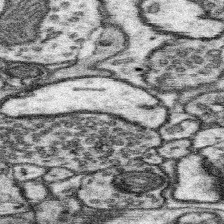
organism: Mouse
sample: Somatosensory cortex neuropil